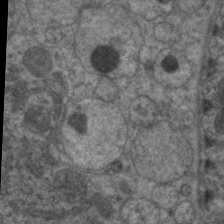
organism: C. elegans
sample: Pharynx